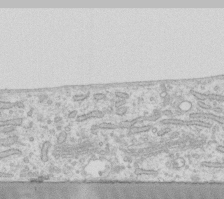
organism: Human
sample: Fibroblast cells